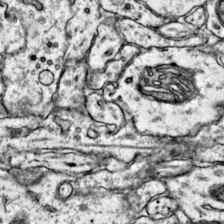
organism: Mouse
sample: Primary visual cortex